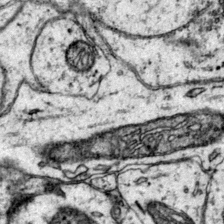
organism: Mouse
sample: Primary visual cortex